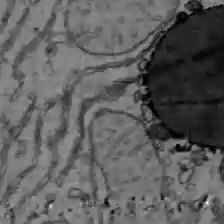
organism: C57BL Mouse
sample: Liver